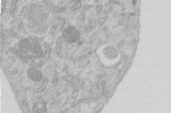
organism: Human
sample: Centriole in RPE cells